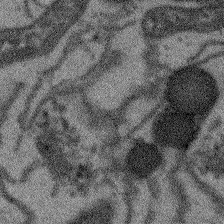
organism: Arabidopsis thaliana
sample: Root tip